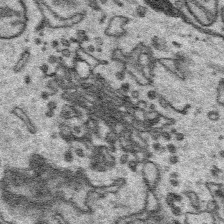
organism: Platynereis dumerilii